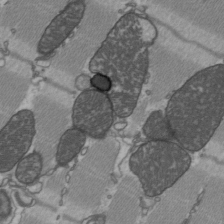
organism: C57BL Mouse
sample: Heart